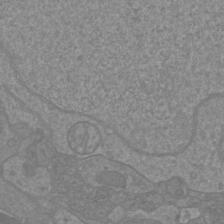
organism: Mouse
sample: Cortical neurons